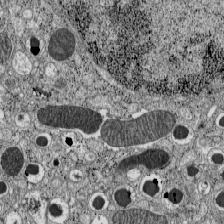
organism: C57BL Mouse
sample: Pancreatic islet